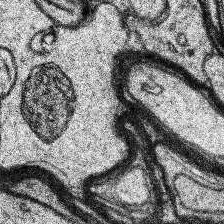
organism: Human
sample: Temporal Lobe